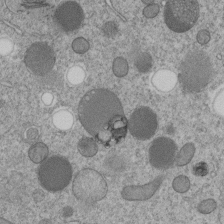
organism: C. elegans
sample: C. elegans embryo early stage